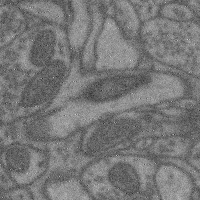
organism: Mouse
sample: Cerebral cortex